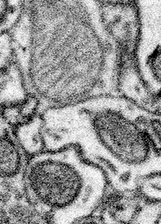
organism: Mouse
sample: Somatosensory cortex neuropil